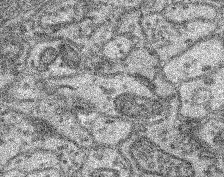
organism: Mouse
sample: Retina